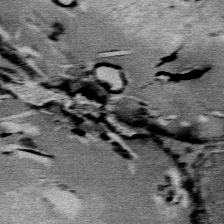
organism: Mouse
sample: Mouse Salivary gland